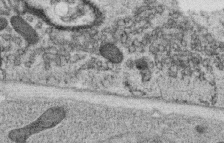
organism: C. elegans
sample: C. elegans oocyte; sperm cells